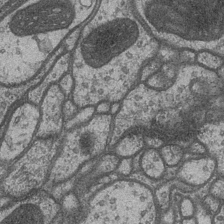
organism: Drosophila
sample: Optic medulla